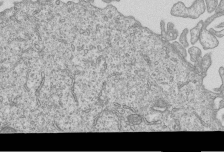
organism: Human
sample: MDA-MB-231 cells